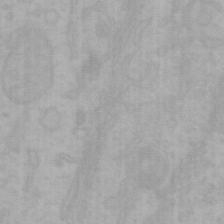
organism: Mouse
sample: Choroid plexus